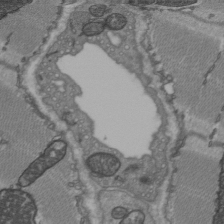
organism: C57BL Mouse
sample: Heart